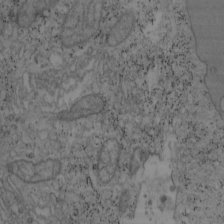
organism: Mouse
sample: OT-I killer T cells with ID8 ovarian cancer cells